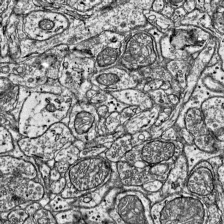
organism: Mouse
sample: Visual Cortex